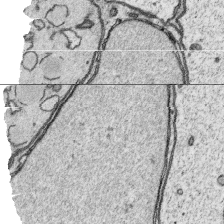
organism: Platynereis dumerilii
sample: Parapodia